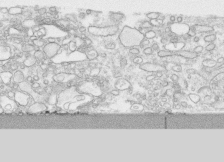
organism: Human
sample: CRL-1474